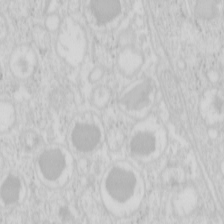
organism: Mouse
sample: Pancreas